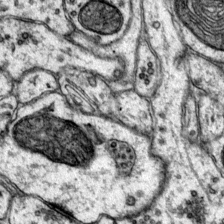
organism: Mouse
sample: Primary visual cortex